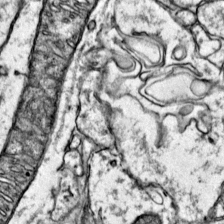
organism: Mouse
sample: Primary visual cortex